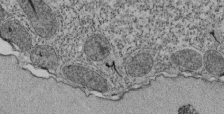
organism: Tetrahymena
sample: Cilia in tetrahymena